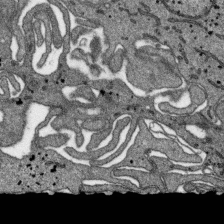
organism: Human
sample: Lung epithelial cells, uninfected (mock) control